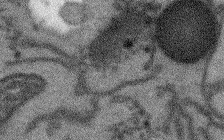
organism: Arabidopsis thaliana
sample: Root tip